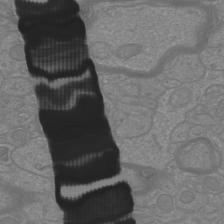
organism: Mouse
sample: Cortical neurons